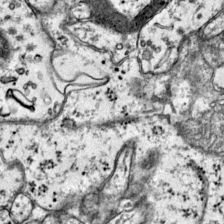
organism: Mouse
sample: Primary visual cortex